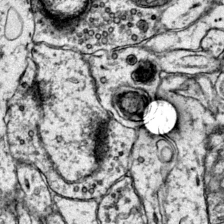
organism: Mouse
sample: Primary visual cortex